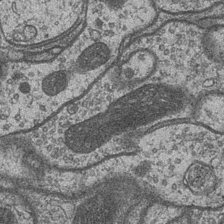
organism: Drosophila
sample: Optic medulla